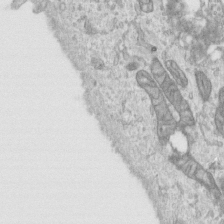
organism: Human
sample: Centriole in RPE cells